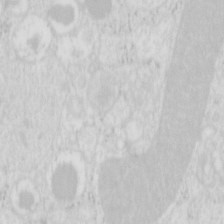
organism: Mouse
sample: Pancreas